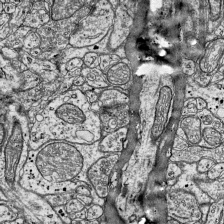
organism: Mouse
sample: Visual Cortex